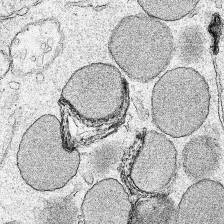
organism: Human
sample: Mitochondria in HCT116 cells